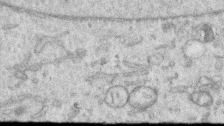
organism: Human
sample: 1205lu cells